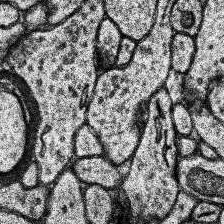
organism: Human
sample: Temporal Lobe